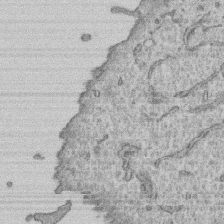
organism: Human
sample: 1205lu cells